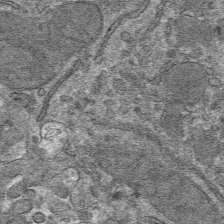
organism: Mouse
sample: Mouse hepatocytes